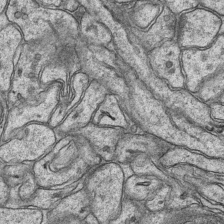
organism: Mouse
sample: CA1 Hippocampus